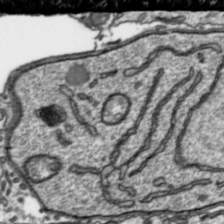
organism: Toxoplasma gondii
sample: Parasites in a vacuole inside a host cell